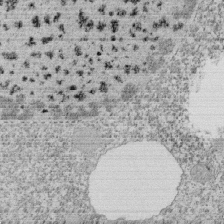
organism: Tetrahymena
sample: Cilia in tetrahymena